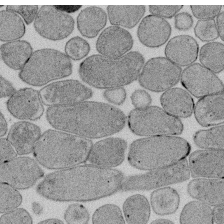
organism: E. coli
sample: Bacterial nucleoid